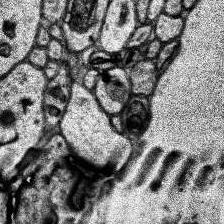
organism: Human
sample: Temporal Lobe